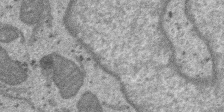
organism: Human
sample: Lung epithelial cells infected with SARS-CoV-2